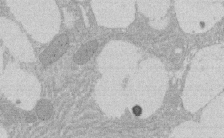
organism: Rat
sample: Salivary granule